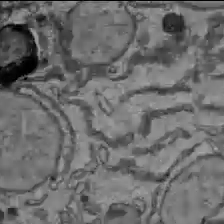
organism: C57BL Mouse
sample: Liver